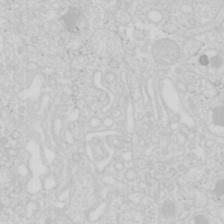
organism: Mouse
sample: Pancreas